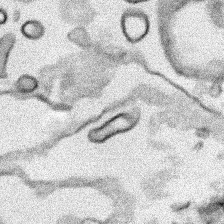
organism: Human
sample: Mitochondria in HCT116 cells